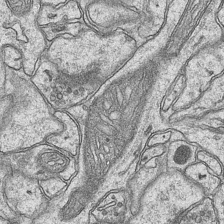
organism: Mouse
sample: CA1 Hippocampus